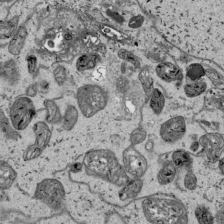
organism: Human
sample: Mitochondria in HCT116 cells